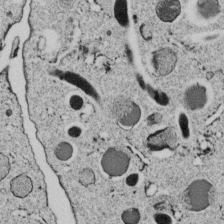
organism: C. elegans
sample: C. elegans embryo early stage